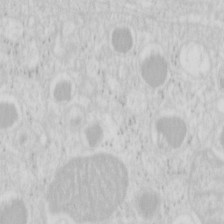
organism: Mouse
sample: Pancreas